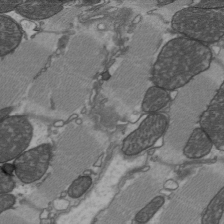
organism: C57BL Mouse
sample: Heart